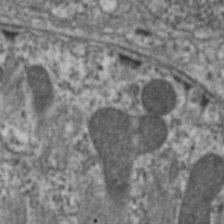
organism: C. elegans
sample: Pharynx